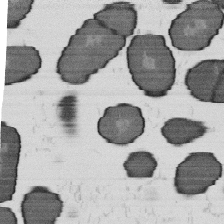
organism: B. subtilis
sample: Bacterial spore